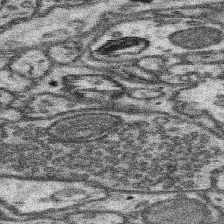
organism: Mouse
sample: Somatosensory cortex neuropil